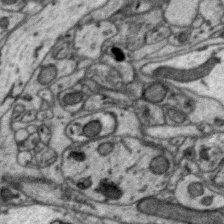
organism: Zebra finch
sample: Brain